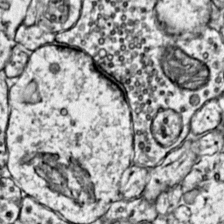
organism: Mouse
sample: Primary visual cortex